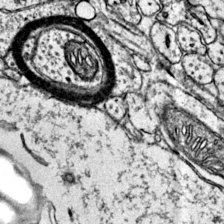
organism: Mouse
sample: Primary visual cortex